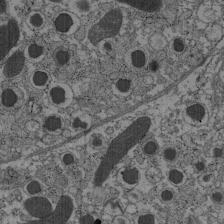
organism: C57BL Mouse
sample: Pancreatic islet